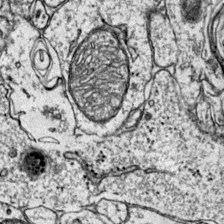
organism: Mouse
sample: Primary visual cortex